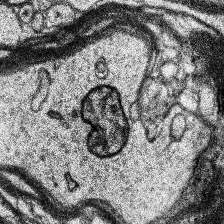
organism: Human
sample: Temporal Lobe